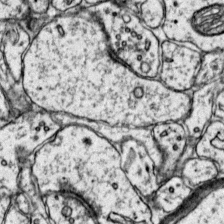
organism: Mouse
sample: Primary visual cortex